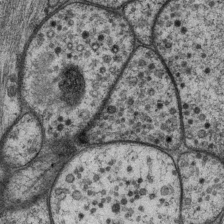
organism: P. pacificus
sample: Pharynx